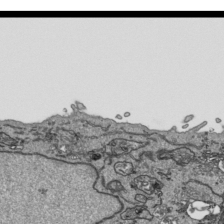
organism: Human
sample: Mitochondria in HCT116 cells